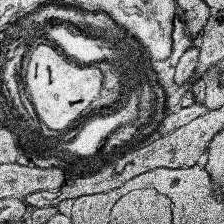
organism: Human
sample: Temporal Lobe